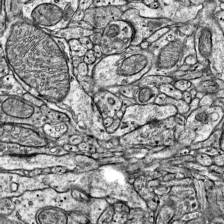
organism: Mouse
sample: Visual Cortex